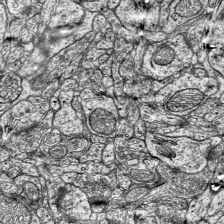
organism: Mouse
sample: Visual Cortex